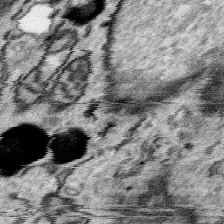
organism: Human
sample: HeLa cells